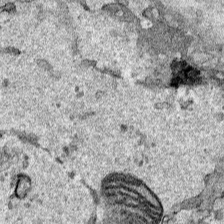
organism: Human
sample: Mitochondria in HCT116 cells